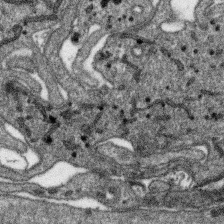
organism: Human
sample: Lung epithelial cells infected with SARS-CoV-2